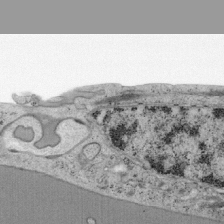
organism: Human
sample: HeLa cells